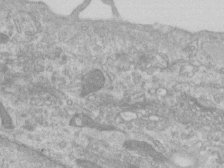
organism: Human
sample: Centriole in RPE cells